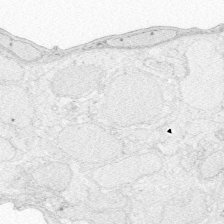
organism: Zebrafish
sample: Whole-Brain